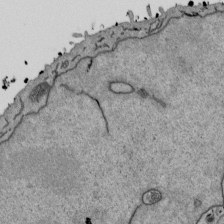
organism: Mouse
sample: ED-1 cell nuclei; centrioles